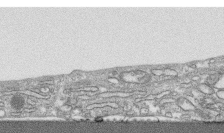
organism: Human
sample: CRL-1474